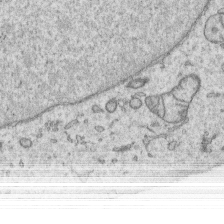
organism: Human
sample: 1205lu cells